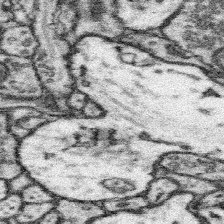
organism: Mouse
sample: Somatosensory cortex neuropil